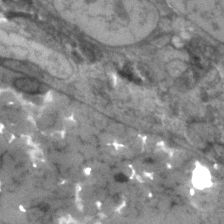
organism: Human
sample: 1205lu cells